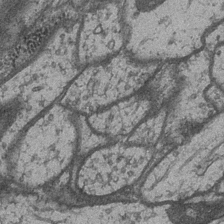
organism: Drosophila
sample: Optic medulla